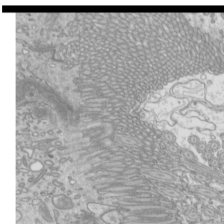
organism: Mouse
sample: Cilia; mouse epididymis